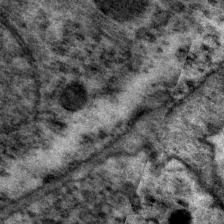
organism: P. pacificus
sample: Pharynx